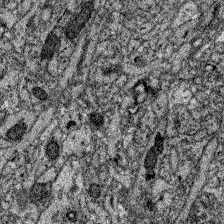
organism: Zebrafish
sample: Larval olfactory bulb